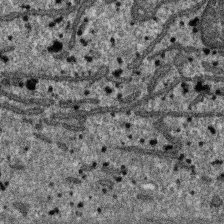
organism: Human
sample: Lung epithelial cells infected with SARS-CoV-2